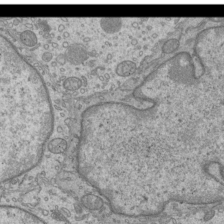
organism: Mouse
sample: Cilia; mouse epididymis